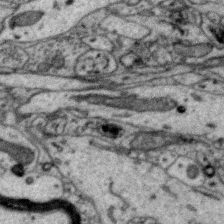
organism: Zebra finch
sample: Brain